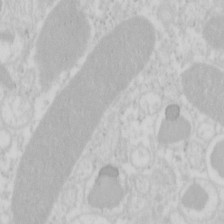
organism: Mouse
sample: Pancreas